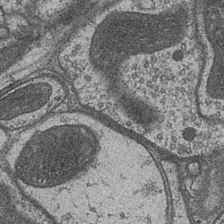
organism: Drosophila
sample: Optic medulla